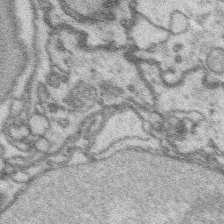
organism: Platynereis dumerilii